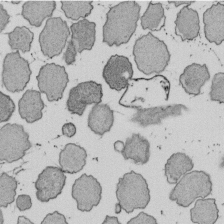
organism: E. coli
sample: Bacterial nucleoid